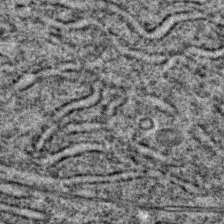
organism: C. elegans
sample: C. elegans embryo